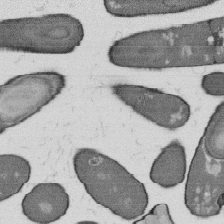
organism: B. subtilis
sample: Bacterial spore